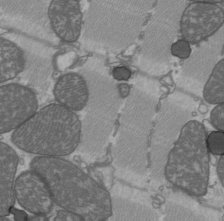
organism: C57BL Mouse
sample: Heart